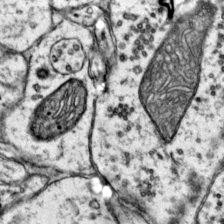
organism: Mouse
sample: Primary visual cortex